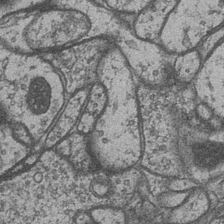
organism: Drosophila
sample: Optic medulla